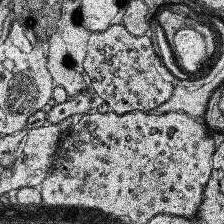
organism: Human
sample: Temporal Lobe